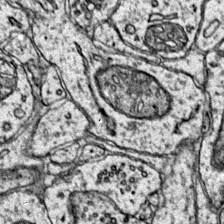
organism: Mouse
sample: Primary visual cortex